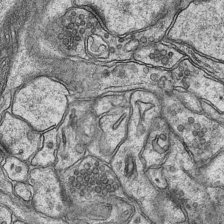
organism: Mouse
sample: CA1 Hippocampus